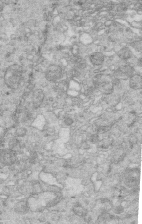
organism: Mouse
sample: Multiciliated cells